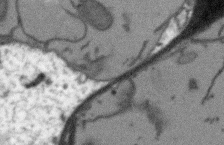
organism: Arabidopsis thaliana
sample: Root tip